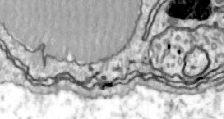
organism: Zebrafish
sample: Actinotrichia fibers